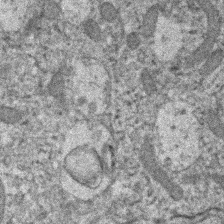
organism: Human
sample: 1205lu cells